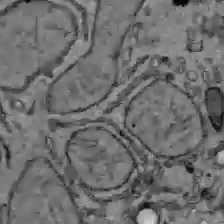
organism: C57BL Mouse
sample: Liver